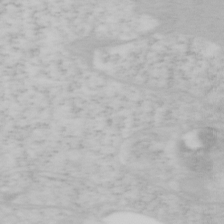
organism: Mouse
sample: OT-I killer T cells with ID8 ovarian cancer cells